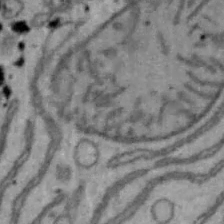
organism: Mouse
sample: Liver